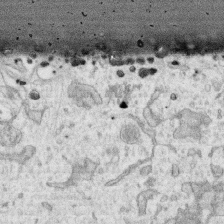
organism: Human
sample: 1205lu cells